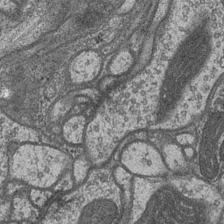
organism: Drosophila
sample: Optic medulla